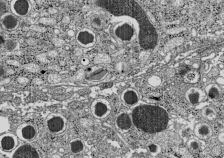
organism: C57BL Mouse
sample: Pancreatic islet